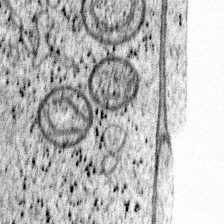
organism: Human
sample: HeLa cells